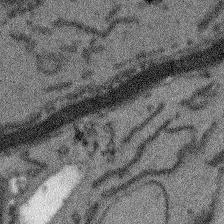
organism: Arabidopsis thaliana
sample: Root tip